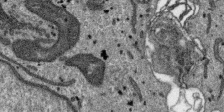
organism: Human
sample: Lung epithelial cells, uninfected (mock) control